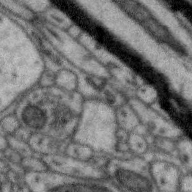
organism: Zebra finch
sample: Brain